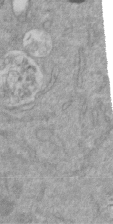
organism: Mouse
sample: ED-1 cell nuclei; centrioles